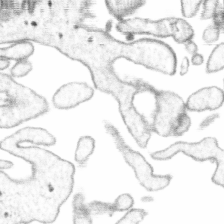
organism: Human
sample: HeLa cells